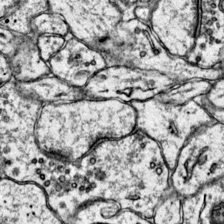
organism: Mouse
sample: Primary visual cortex